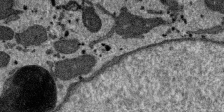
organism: Human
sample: Lung epithelial cells, uninfected (mock) control